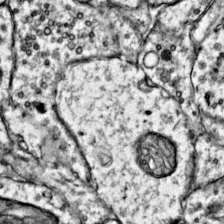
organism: Mouse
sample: Primary visual cortex